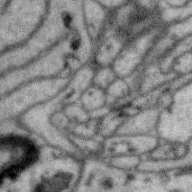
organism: Zebra finch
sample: Brain